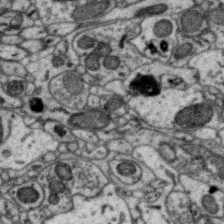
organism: Zebra finch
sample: Brain